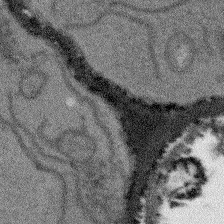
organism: Arabidopsis thaliana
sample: Root tip